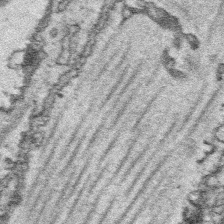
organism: Platynereis dumerilii